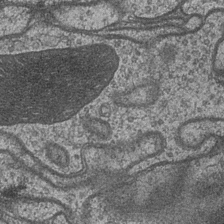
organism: Drosophila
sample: Optic medulla